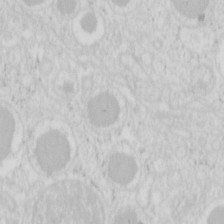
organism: Mouse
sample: Pancreas